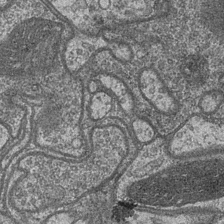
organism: Drosophila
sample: Optic medulla